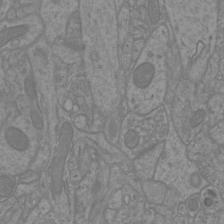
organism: Mouse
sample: Cortical neurons